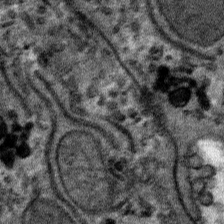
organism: Mouse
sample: Mouse hepatocytes